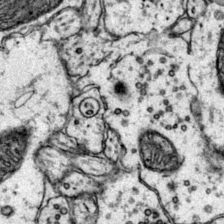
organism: Mouse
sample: Primary visual cortex